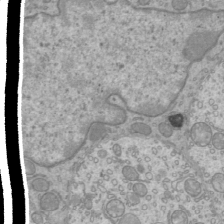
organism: Mouse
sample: Cilia; mouse epididymis